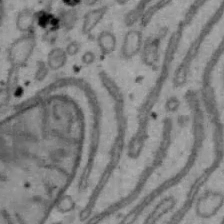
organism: Mouse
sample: Liver